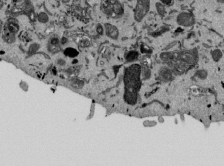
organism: Mouse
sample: ED-1 cell nuclei; centrioles